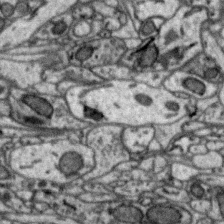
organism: Zebra finch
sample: Brain